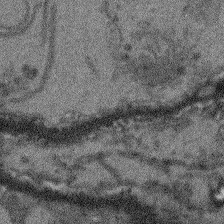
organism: Arabidopsis thaliana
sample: Root tip